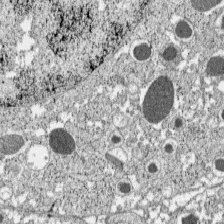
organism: C57BL Mouse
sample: Pancreatic islet